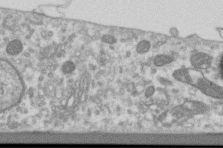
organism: Human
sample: Centriole in RPE cells